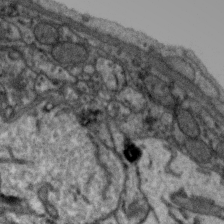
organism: Zebra finch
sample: Brain